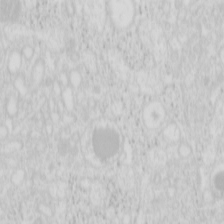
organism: Mouse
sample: Pancreas